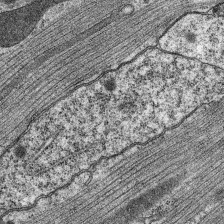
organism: C. elegans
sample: Pharynx